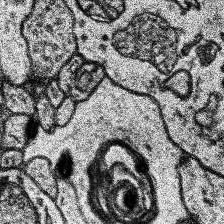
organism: Human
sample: Temporal Lobe